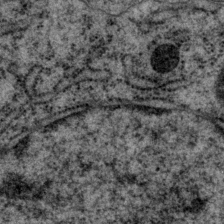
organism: P. pacificus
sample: Pharynx